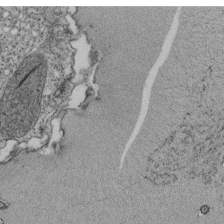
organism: Tetrahymena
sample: Cilia in tetrahymena